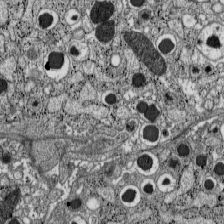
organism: C57BL Mouse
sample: Pancreatic islet